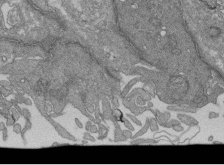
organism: Human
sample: Retinal organoid Rod and Cone cells